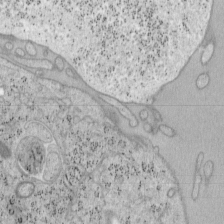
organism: Mouse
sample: OT-I killer T cells with ID8 ovarian cancer cells